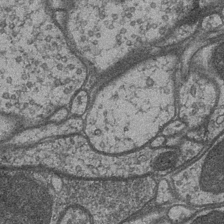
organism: Drosophila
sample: Optic medulla